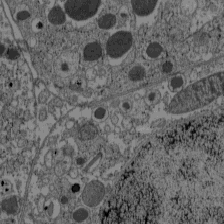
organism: C57BL Mouse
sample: Pancreatic islet